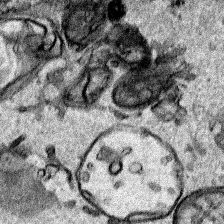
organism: Human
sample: Mitochondria in HCT116 cells